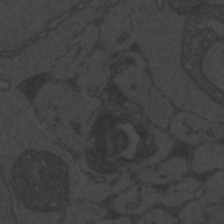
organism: Zebrafish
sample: Macrophage infected with Toxoplasma gondii